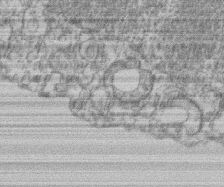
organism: Mouse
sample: T cell stromal cell synapse